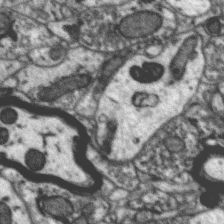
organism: Zebra finch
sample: Brain